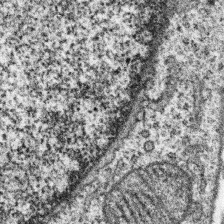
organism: Human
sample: HeLa cells